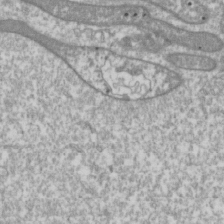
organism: Drosophila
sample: Cell division; meiosis; drosophila spermatocytes